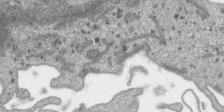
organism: Human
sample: Lung epithelial cells infected with SARS-CoV-2